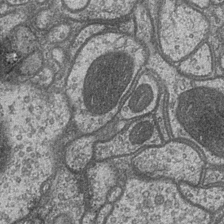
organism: Drosophila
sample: Optic medulla